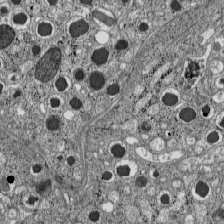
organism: C57BL Mouse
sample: Pancreatic islet